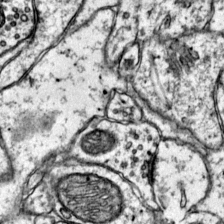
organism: Mouse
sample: Primary visual cortex